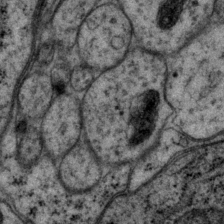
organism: P. pacificus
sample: Pharynx